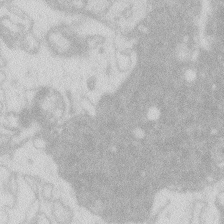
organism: Zebrafish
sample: Macrophage